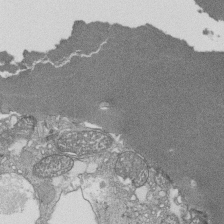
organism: Tetrahymena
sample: Cilia in tetrahymena